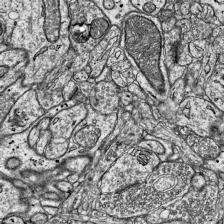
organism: Mouse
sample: Visual Cortex